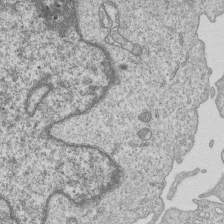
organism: Human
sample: MDA-MB-231 cells